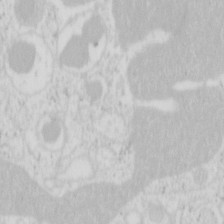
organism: Mouse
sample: Pancreas